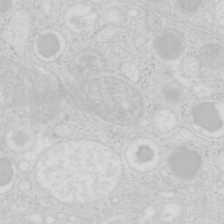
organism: Mouse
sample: Pancreas